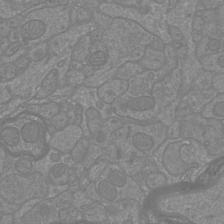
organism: Mouse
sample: Cortical neurons